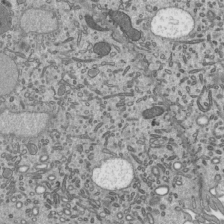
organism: Mouse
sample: Mouse epididymis efferent ductule cilia